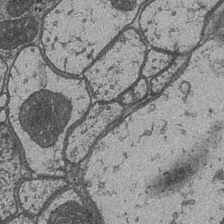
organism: Drosophila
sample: Optic medulla